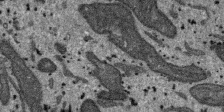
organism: Human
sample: Lung epithelial cells, uninfected (mock) control